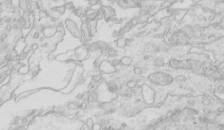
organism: Mouse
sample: Multiciliated cells